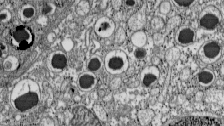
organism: C57BL Mouse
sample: Pancreatic islet